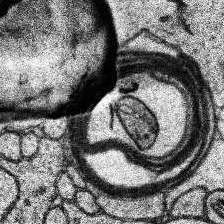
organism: Human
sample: Temporal Lobe